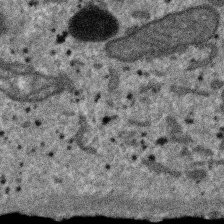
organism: Human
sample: Lung epithelial cells infected with SARS-CoV-2